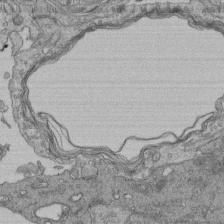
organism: Human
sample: Retinal organoid Rod and Cone cells